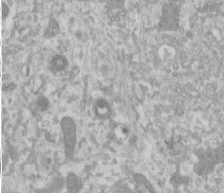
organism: Human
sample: Cilia; basal body in RPE cells